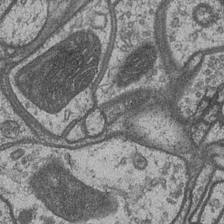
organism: Drosophila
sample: Optic medulla